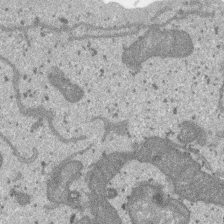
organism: Human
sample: Lung epithelial cells infected with SARS-CoV-2